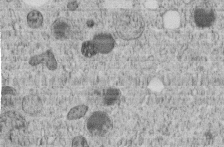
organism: C. elegans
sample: C. elegans embryo early stage